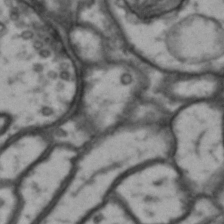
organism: Drosophila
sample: Brain